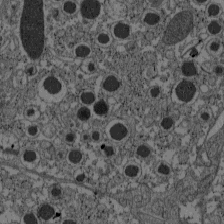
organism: C57BL Mouse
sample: Pancreatic islet